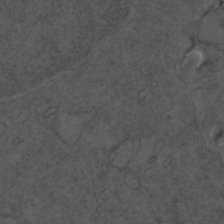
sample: Trachea